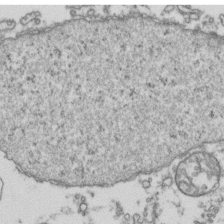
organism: Human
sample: Activated Jurkat CD4+ T cells